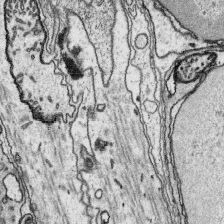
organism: Platynereis dumerilii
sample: Parapodia